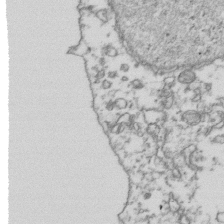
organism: Human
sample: Activated Jurkat CD4+ T cells